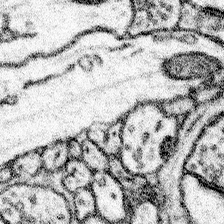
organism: Mouse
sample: Somatosensory cortex neuropil